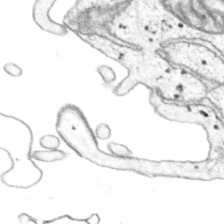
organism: Human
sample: HeLa cells